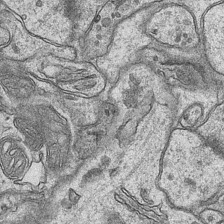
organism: Mouse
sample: CA1 Hippocampus